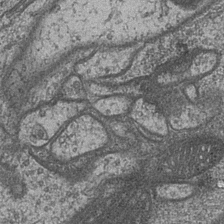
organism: Drosophila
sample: Optic medulla